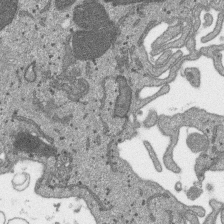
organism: Human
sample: Lung epithelial cells infected with SARS-CoV-2